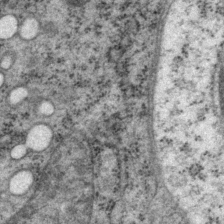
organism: P. pacificus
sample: Pharynx